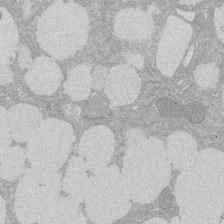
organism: Rat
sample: Salivary granule